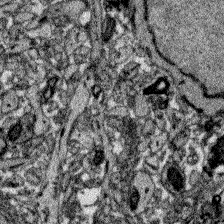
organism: Zebrafish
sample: Larval olfactory bulb